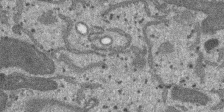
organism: Human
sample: Lung epithelial cells infected with SARS-CoV-2